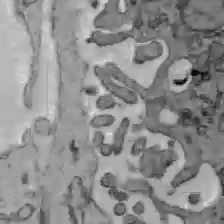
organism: C57BL Mouse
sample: Liver